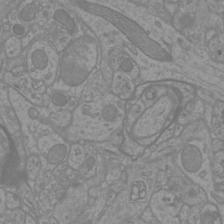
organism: Mouse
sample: Cortical neurons